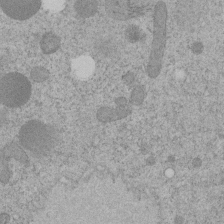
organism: C. elegans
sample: C. elegans embryo early stage